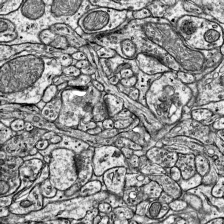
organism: Mouse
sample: Visual Cortex